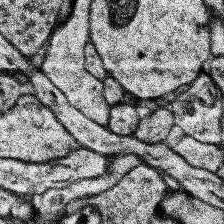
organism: Human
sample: Temporal Lobe